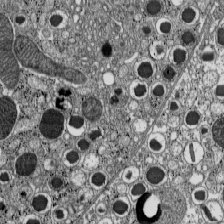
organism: C57BL Mouse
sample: Pancreatic islet